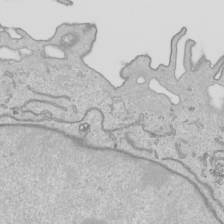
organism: Human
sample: Mitochondria in HCT116 cells